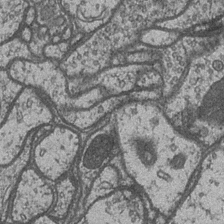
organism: Drosophila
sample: Optic medulla